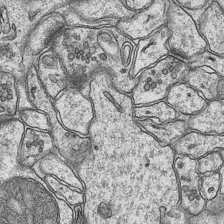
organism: Mouse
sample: CA1 Hippocampus